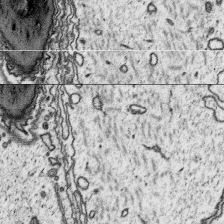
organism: Platynereis dumerilii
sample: Parapodia